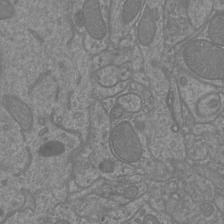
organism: Mouse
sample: Cortical neurons